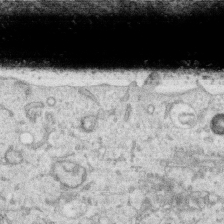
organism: Human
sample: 1205lu cells